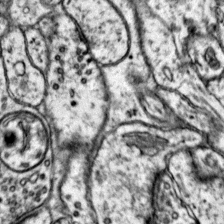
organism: Mouse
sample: Primary visual cortex